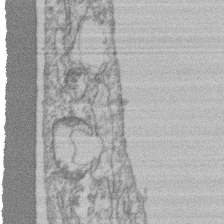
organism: Mouse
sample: T cell stromal cell synapse